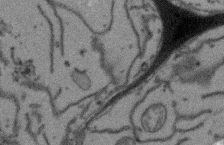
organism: Arabidopsis thaliana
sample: Root tip